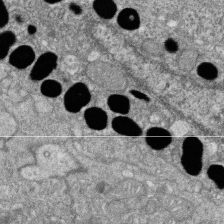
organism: Zebrafish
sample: Cilia; retinal pigment epithelium